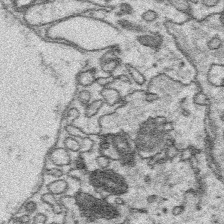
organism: Platynereis dumerilii